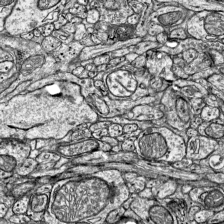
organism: Mouse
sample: Visual Cortex